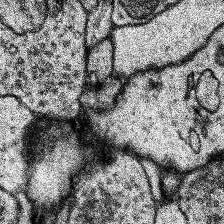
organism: Human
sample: Temporal Lobe